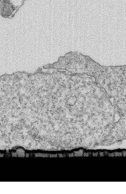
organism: Human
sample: HeLa cell HIV synapse